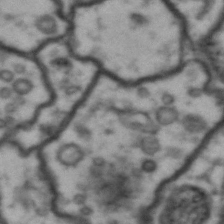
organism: Drosophila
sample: Brain